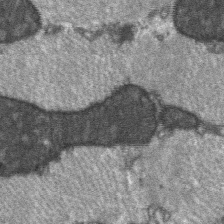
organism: C57BL Mouse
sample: Soleus